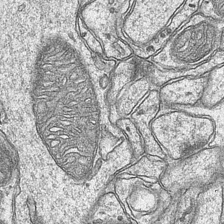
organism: Mouse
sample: CA1 Hippocampus